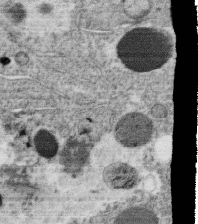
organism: C. elegans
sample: C. elegans oocyte; sperm cells